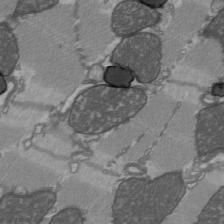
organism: C57BL Mouse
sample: Heart